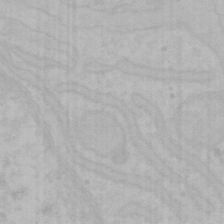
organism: Mouse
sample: Choroid plexus